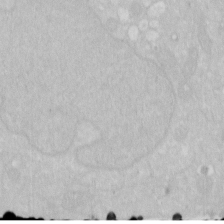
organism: Human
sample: HIV infected U937 cells